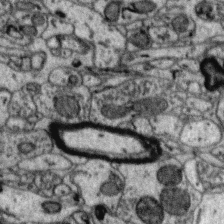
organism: Zebra finch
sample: Brain